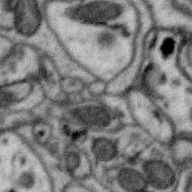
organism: Zebra finch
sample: Brain